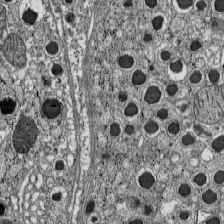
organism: C57BL Mouse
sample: Pancreatic islet